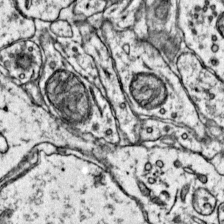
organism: Mouse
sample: Primary visual cortex